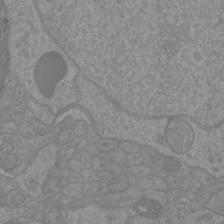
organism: Mouse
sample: Cortical neurons